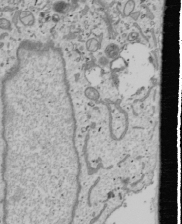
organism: Human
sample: Mitochondria in U2OS cells